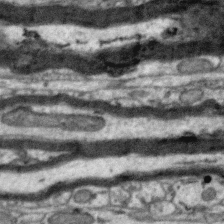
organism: Zebra finch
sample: Brain